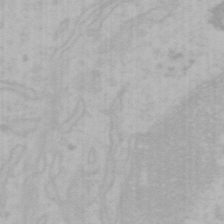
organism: Mouse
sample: Choroid plexus